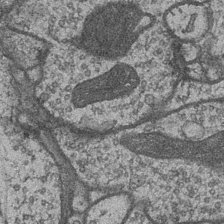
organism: Drosophila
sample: Optic medulla